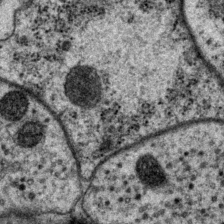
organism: P. pacificus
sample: Pharynx